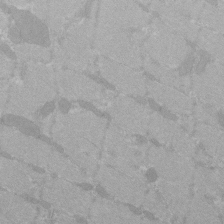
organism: C57BL Mouse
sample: Tibialis anterior muscle cell